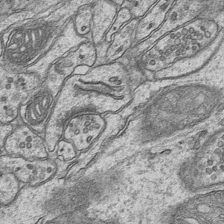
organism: Mouse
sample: CA1 Hippocampus